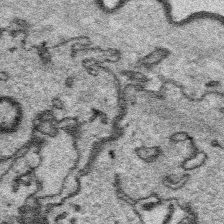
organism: Platynereis dumerilii